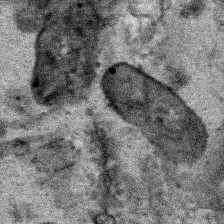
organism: Human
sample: Mitochondria in HCT116 cells